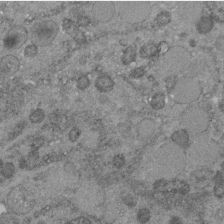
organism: C. elegans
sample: C. elegans embryo early stage